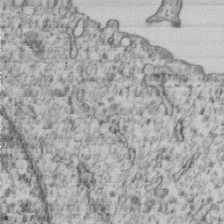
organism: Human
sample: MDA-MB-231 cells